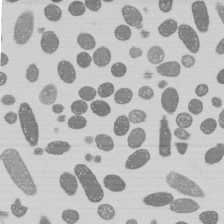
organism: E. coli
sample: Bacterial nucleoid